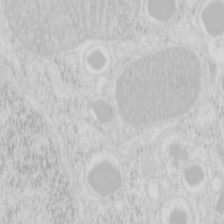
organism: Mouse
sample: Pancreas